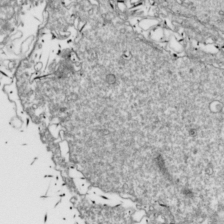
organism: Drosophila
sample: Cell division; meiosis; drosophila spermatocytes